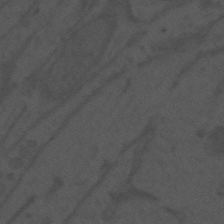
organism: Mouse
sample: Suprachiasmatic nucleus